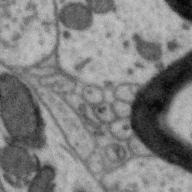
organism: Zebra finch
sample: Brain